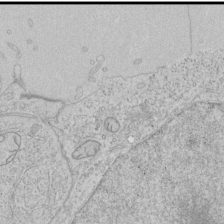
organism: Human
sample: Mitochondria in HCT116 cells